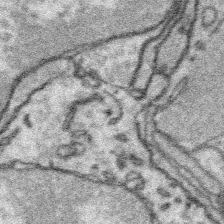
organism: Platynereis dumerilii